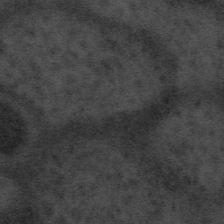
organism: Tuwongella immobilis